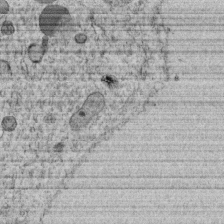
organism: C. elegans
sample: C. elegans embryo early stage